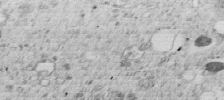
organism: C. elegans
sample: C. elegans embryo early stage